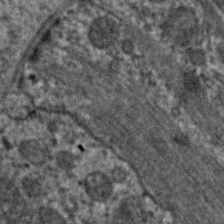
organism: C. elegans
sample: Pharynx